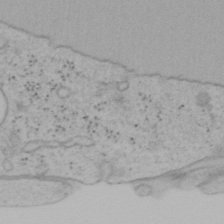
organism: Human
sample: HeLa cells